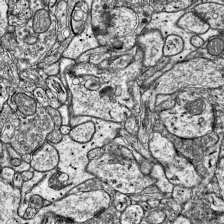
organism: Mouse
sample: Visual Cortex